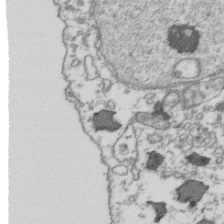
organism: Human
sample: Activated Jurkat CD4+ T cells